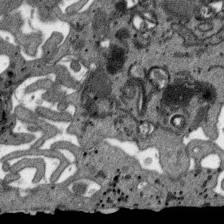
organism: Human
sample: Lung epithelial cells, uninfected (mock) control